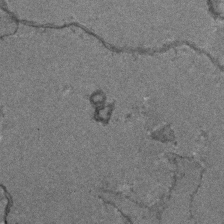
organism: Zebrafish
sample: Zebrafish embryo